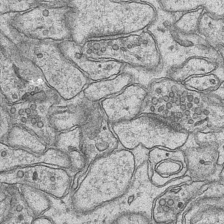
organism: Mouse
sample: CA1 Hippocampus